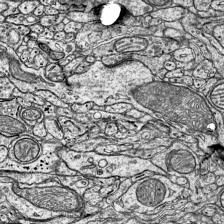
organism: Mouse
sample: Visual Cortex